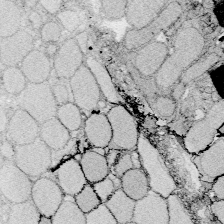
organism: Zebrafish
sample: Whole-Brain